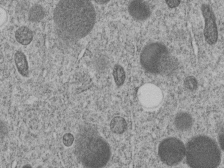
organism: C. elegans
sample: C. elegans embryo early stage